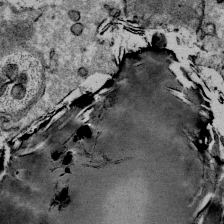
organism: Mouse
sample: Mouse Salivary gland